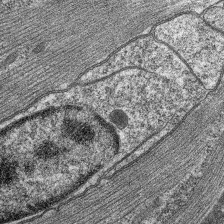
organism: C. elegans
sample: Pharynx